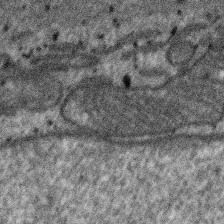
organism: Human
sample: Lung epithelial cells infected with SARS-CoV-2